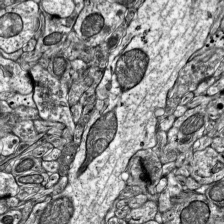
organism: Mouse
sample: Visual Cortex